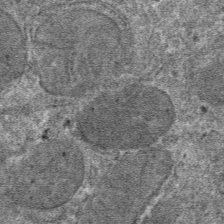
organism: Mouse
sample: Mouse hepatocytes